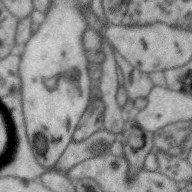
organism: Zebra finch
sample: Brain